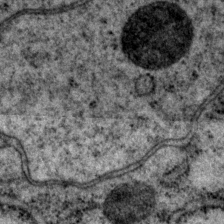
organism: P. pacificus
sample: Pharynx